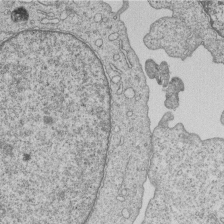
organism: Human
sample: MDA-MB-231 cells